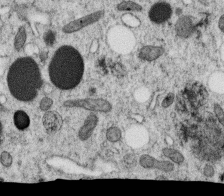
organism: C. elegans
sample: C. elegans oocyte; sperm cells